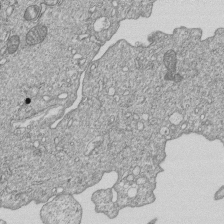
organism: Human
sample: MDA-MB-231 cells